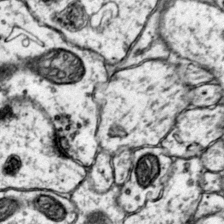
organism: Mouse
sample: Primary visual cortex